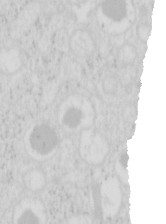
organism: Mouse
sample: Pancreas